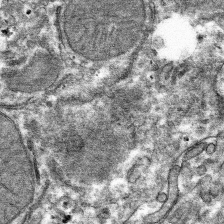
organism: Mouse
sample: Mouse hepatocytes